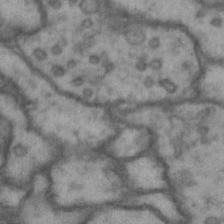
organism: Drosophila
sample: Brain